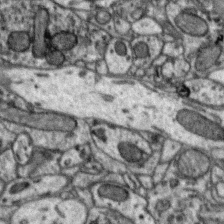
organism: Zebra finch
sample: Brain